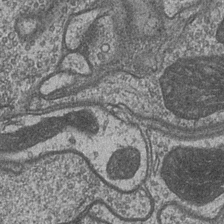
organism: Drosophila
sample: Optic medulla